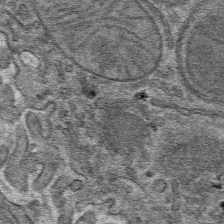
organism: Mouse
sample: Mouse hepatocytes